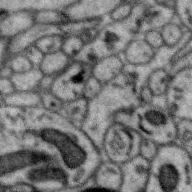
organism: Zebra finch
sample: Brain